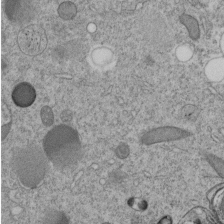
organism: C. elegans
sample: C. elegans embryo early stage